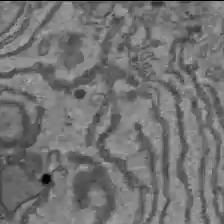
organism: C57BL Mouse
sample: Liver